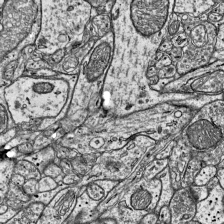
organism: Mouse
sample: Visual Cortex